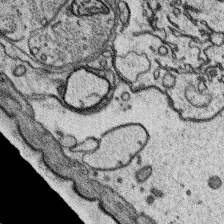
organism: Platynereis dumerilii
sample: Parapodia